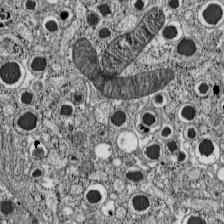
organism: C57BL Mouse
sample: Pancreatic islet